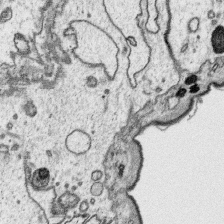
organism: Platynereis dumerilii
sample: Parapodia